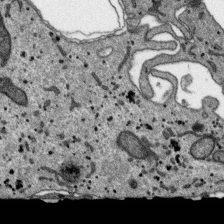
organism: Human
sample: Lung epithelial cells, uninfected (mock) control